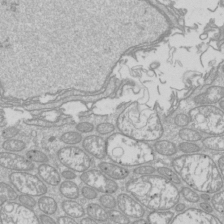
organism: Drosophila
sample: Cell division; meiosis; drosophila spermatocytes